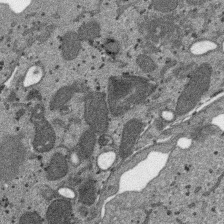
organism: Human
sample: Lung epithelial cells infected with SARS-CoV-2